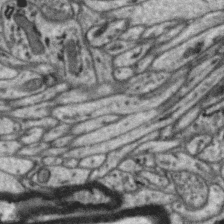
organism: Zebra finch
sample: Brain